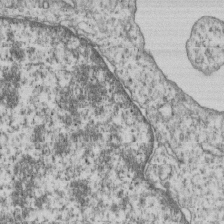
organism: Human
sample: MDA-MB-231 cells